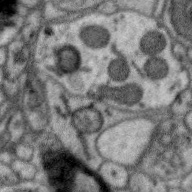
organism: Zebra finch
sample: Brain